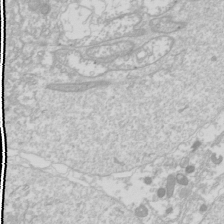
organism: Drosophila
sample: Cell division; meiosis; drosophila spermatocytes